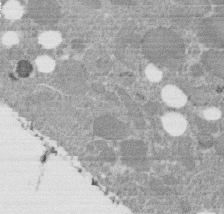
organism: C. elegans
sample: C. elegans embryo early stage